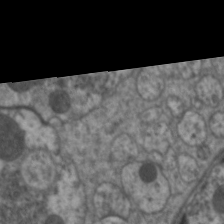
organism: C. elegans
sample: Pharynx